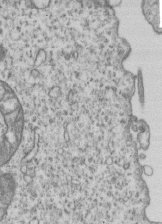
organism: Human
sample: MDA-MB-231 cells